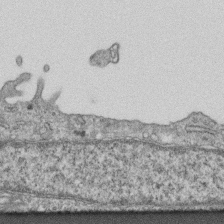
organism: Mouse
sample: Centriole in ependymal cells